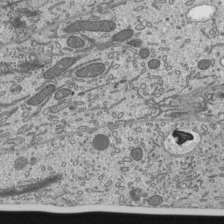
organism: Mouse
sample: Mouse epididymis efferent ductule cilia